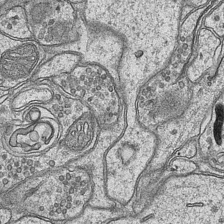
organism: Mouse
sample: CA1 Hippocampus